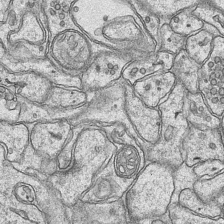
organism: Mouse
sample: CA1 Hippocampus